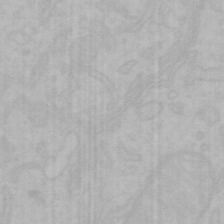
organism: Mouse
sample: Choroid plexus